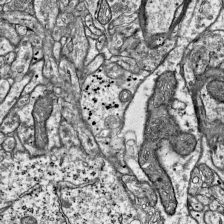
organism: Mouse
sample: Visual Cortex